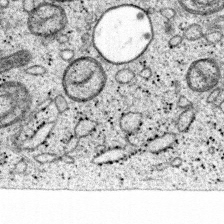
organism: Human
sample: HeLa cells